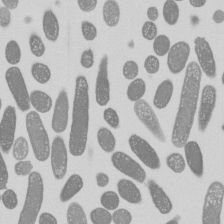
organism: E. coli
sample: Bacterial nucleoid